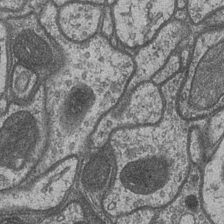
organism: Drosophila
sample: Optic medulla